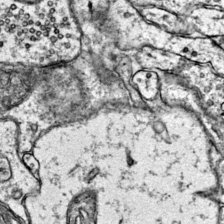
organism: Mouse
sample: Primary visual cortex